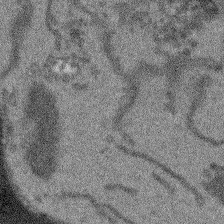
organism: Arabidopsis thaliana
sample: Root tip